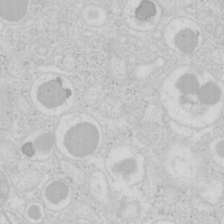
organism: Mouse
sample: Pancreas